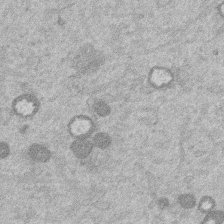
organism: Mouse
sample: Dividing mouse embryo 1 cell stage